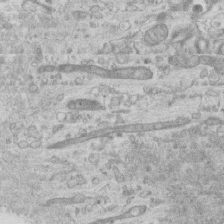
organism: Mouse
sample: Centriole in ependymal cells